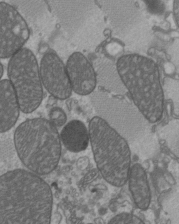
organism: C57BL Mouse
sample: Heart